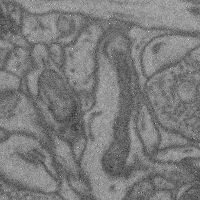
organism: Mouse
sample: Cerebral cortex